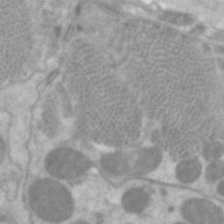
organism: C. elegans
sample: Pharynx